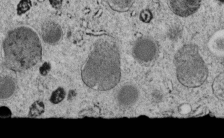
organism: C. elegans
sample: C. elegans embryo early stage